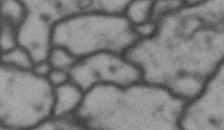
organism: Drosophila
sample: Brain